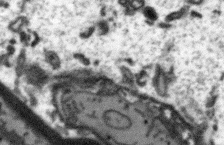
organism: Arabidopsis thaliana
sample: Root tip